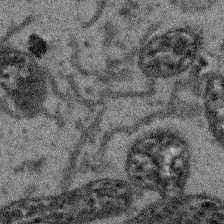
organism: Arabidopsis thaliana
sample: Root tip